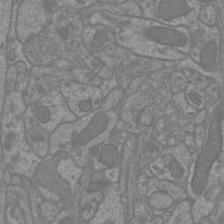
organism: Mouse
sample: Cortical neurons